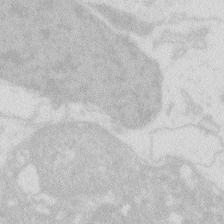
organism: Zebrafish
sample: Macrophage